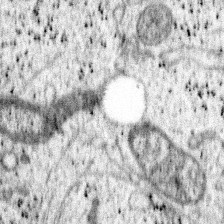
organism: Human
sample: HeLa cells